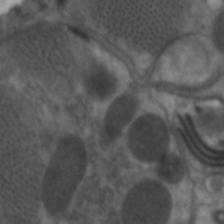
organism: C. elegans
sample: Pharynx